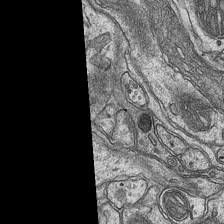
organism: Mouse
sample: CA1 Hippocampus